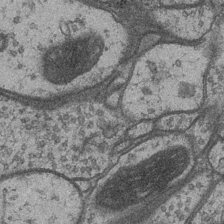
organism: Drosophila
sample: Optic medulla